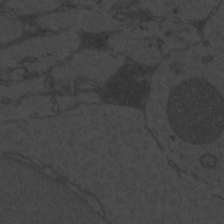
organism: Zebrafish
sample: Macrophage infected with Toxoplasma gondii